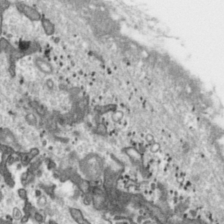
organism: Toxoplasma gondii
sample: Parasites in a vacuole inside a host cell